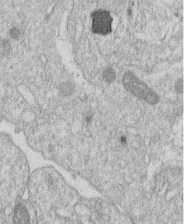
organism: Human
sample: Macrophage cells